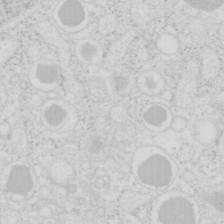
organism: Mouse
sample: Pancreas